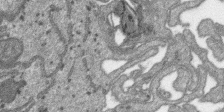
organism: Human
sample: Lung epithelial cells infected with SARS-CoV-2